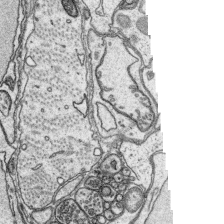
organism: Platynereis dumerilii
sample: Parapodia